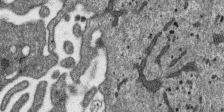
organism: Human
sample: Lung epithelial cells infected with SARS-CoV-2